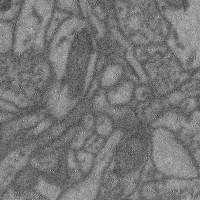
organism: Mouse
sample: Cerebral cortex